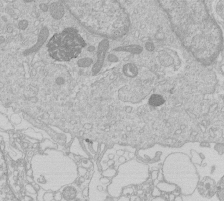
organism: Human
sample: Macrophage cells